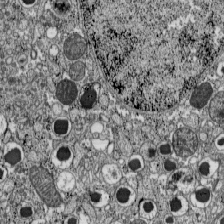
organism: C57BL Mouse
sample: Pancreatic islet